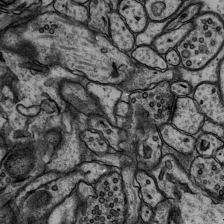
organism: Rat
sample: Hippocampus